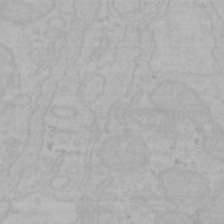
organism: Mouse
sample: Choroid plexus